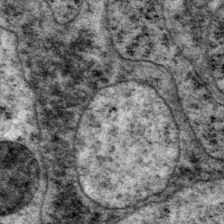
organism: P. pacificus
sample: Pharynx